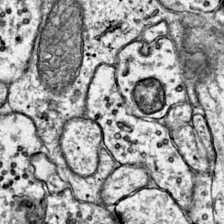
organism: Mouse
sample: Primary visual cortex